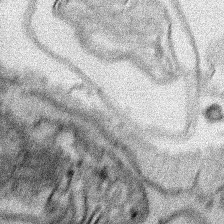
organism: Human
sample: Mitochondria in HCT116 cells